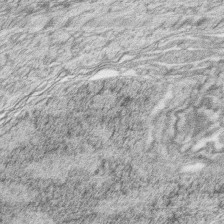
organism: Zebrafish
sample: synaptic ribbons in rod cells and cone cells